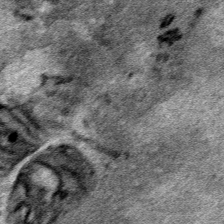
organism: Human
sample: Mitochondria in HCT116 cells